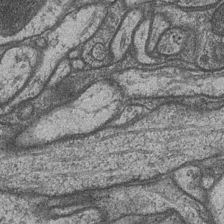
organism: Drosophila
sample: Optic medulla